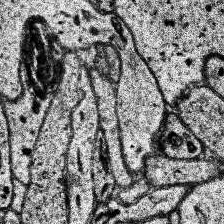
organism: Human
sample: Temporal Lobe